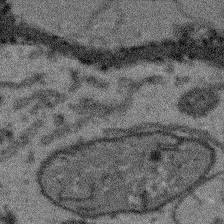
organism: Arabidopsis thaliana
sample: Root tip